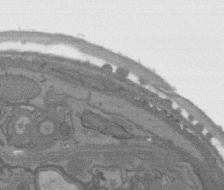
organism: C. elegans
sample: AFD neurons C. elegans